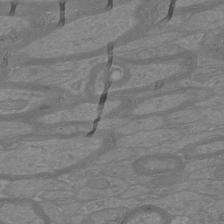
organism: Mouse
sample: Cortical neurons